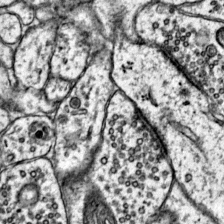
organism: Mouse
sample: Primary visual cortex